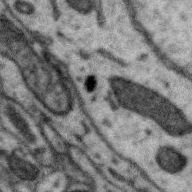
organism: Zebra finch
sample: Brain